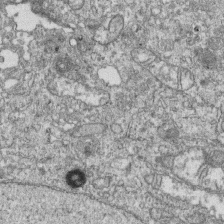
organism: Human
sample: HeLa cell HIV synapse